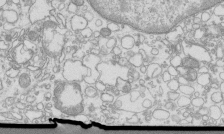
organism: Mouse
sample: Macrophages